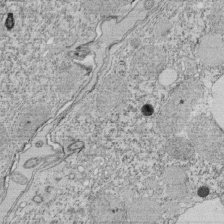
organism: Tetrahymena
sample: Cilia in tetrahymena